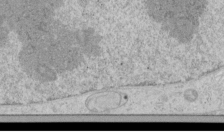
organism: Human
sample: Mitochondria in HCT116 cells